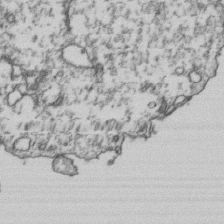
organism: Human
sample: Activated Jurkat CD4+ T cells